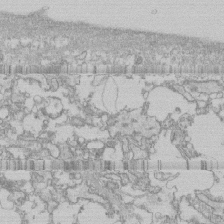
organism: Human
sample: CRL-1474